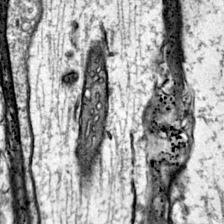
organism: Mouse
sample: Primary visual cortex